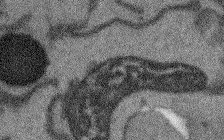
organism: Arabidopsis thaliana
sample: Root tip